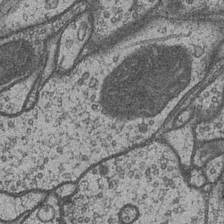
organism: Drosophila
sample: Optic medulla